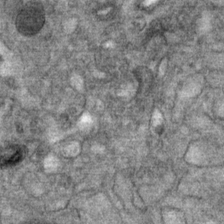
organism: Mouse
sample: Mouse Salivary gland